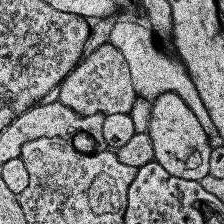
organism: Human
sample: Temporal Lobe